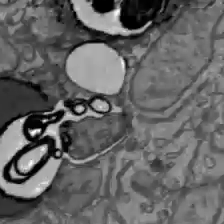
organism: C57BL Mouse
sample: Liver